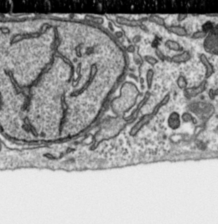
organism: Toxoplasma gondii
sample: Parasites in a vacuole inside a host cell